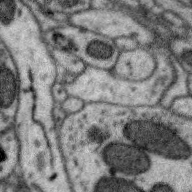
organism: Zebra finch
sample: Brain